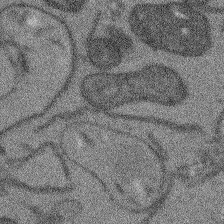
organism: Arabidopsis thaliana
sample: Root tip